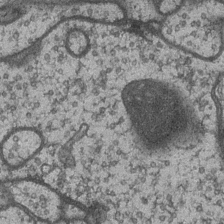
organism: Drosophila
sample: Optic medulla